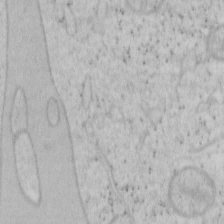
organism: Human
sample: HeLa cells